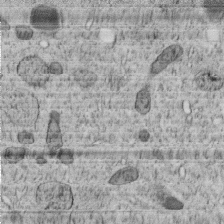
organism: C. elegans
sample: C. elegans embryo early stage